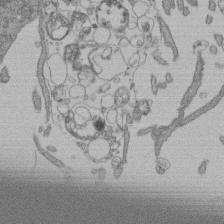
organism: Human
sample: Retinal organoid Rod and Cone cells